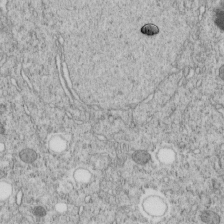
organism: C. elegans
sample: C. elegans embryo early stage